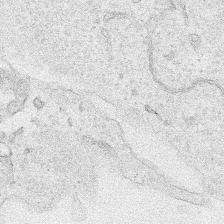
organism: Human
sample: Mitochondria in HCT116 cells